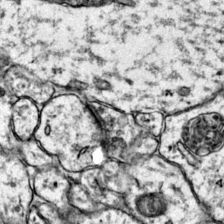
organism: Mouse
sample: Primary visual cortex